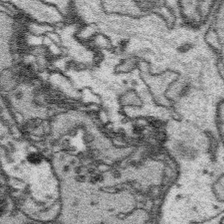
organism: Platynereis dumerilii